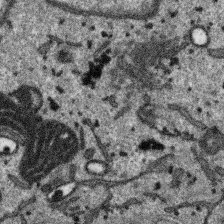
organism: Human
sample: Lung epithelial cells infected with SARS-CoV-2